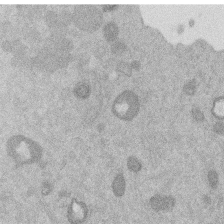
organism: Mouse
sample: Dividing mouse embryo 1 cell stage